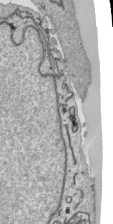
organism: Human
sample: Mitochondria in HCT116 cells